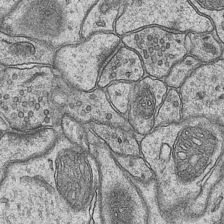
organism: Mouse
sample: CA1 Hippocampus